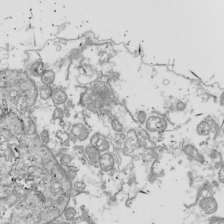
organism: Drosophila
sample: Cell division; meiosis; drosophila spermatocytes